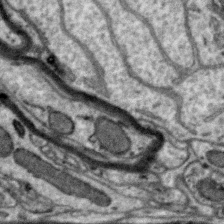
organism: Zebra finch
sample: Brain